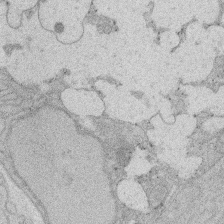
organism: Rat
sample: Salivary granule